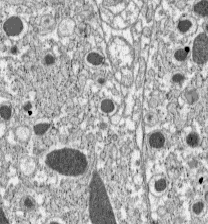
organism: C57BL Mouse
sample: Pancreatic islet